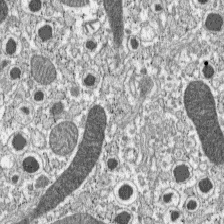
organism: C57BL Mouse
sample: Pancreatic islet